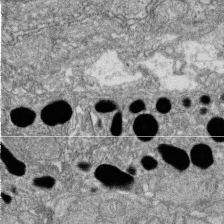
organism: Zebrafish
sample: Cilia; retinal pigment epithelium